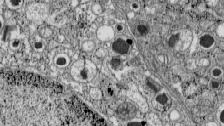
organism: C57BL Mouse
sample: Pancreatic islet